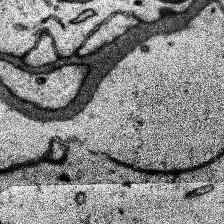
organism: Human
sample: Temporal Lobe